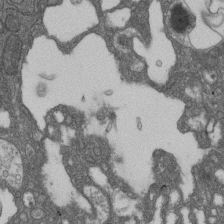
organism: Drosophila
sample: Nephrocyte